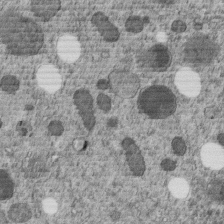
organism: C. elegans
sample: C. elegans embryo early stage